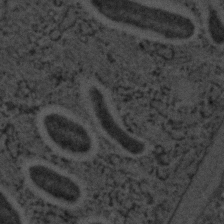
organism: C. elegans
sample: C. elegans embryo